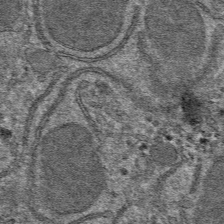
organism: Mouse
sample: Mouse hepatocytes